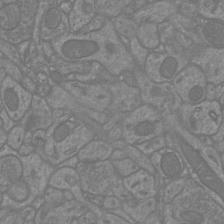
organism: Mouse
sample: Cortical neurons